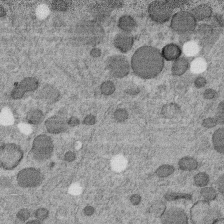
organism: C. elegans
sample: C. elegans embryo early stage